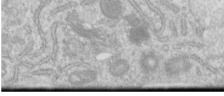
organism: Human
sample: Centriole in RPE cells